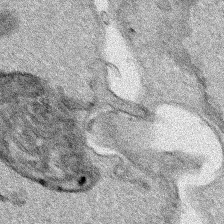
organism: Human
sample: Mitochondria in HCT116 cells